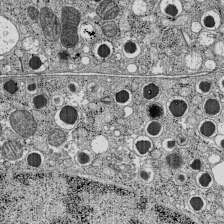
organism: C57BL Mouse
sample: Pancreatic islet